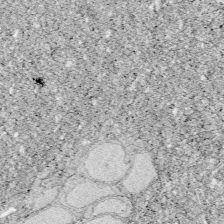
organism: Zebrafish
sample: Whole-Brain